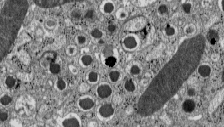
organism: C57BL Mouse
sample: Pancreatic islet